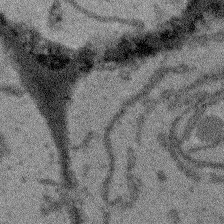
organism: Arabidopsis thaliana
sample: Root tip